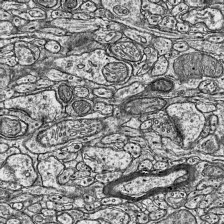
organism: Mouse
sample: Visual Cortex